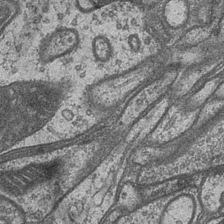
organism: Drosophila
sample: Optic medulla